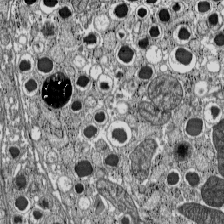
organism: C57BL Mouse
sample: Pancreatic islet